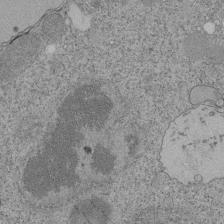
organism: Tetrahymena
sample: Cilia in tetrahymena